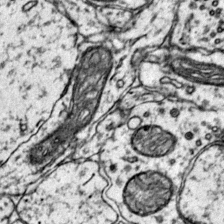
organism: Mouse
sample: Primary visual cortex